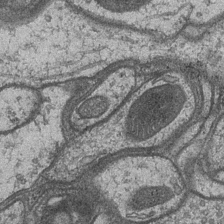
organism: Drosophila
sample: Optic medulla